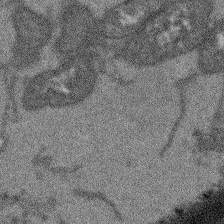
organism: Arabidopsis thaliana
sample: Root tip